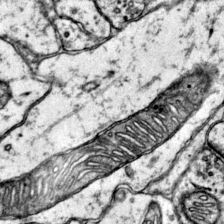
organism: Mouse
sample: Primary visual cortex